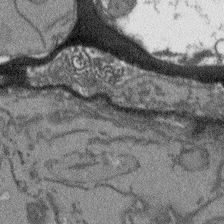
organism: Arabidopsis thaliana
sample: Root tip